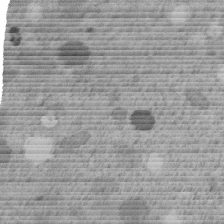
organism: C. elegans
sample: C. elegans embryo early stage